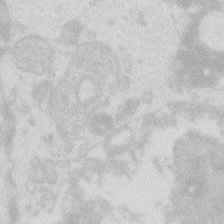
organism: Zebrafish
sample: Macrophage